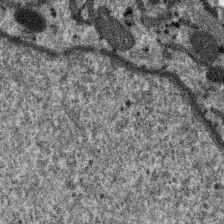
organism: Human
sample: Lung epithelial cells infected with SARS-CoV-2